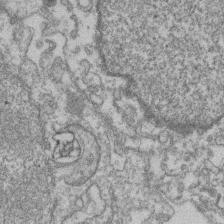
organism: Mouse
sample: T cell stromal cell synapse